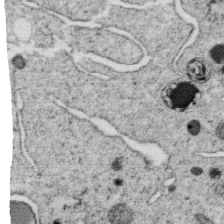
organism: C. elegans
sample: C. elegans oocyte; sperm cells